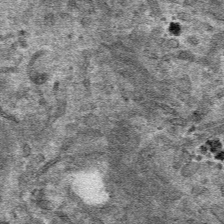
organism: Mouse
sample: Mouse hepatocytes